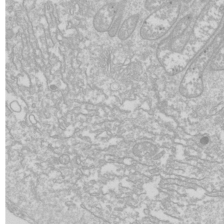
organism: Drosophila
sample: Cell division; meiosis; drosophila spermatocytes